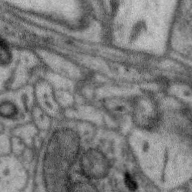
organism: Zebra finch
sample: Brain